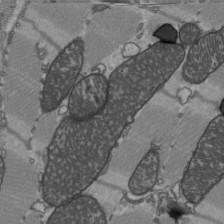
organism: C57BL Mouse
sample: Heart